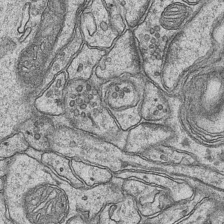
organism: Mouse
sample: CA1 Hippocampus